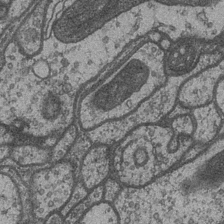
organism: Drosophila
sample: Optic medulla